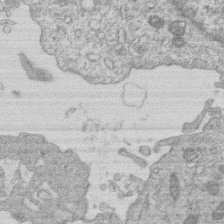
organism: Human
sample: Macrophage cells